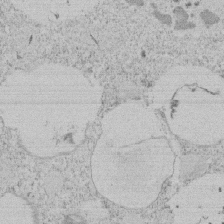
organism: Tetrahymena